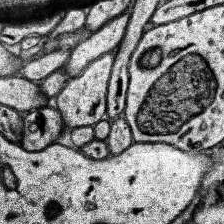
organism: Human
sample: Temporal Lobe